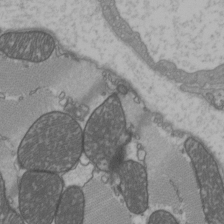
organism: C57BL Mouse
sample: Heart